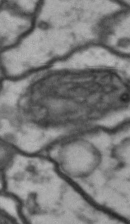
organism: Drosophila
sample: Brain